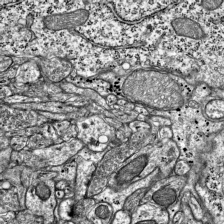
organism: Mouse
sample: Visual Cortex